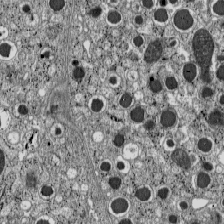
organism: C57BL Mouse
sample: Pancreatic islet